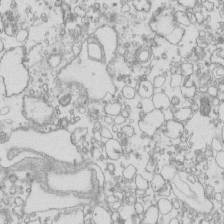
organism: Mouse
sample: Macrophages